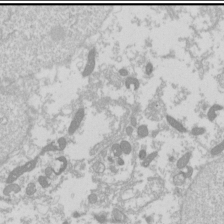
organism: Drosophila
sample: Cell division; meiosis; drosophila spermatocytes